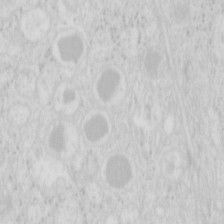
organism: Mouse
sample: Pancreas